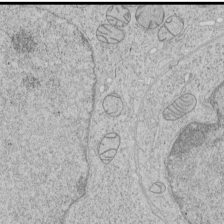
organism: Human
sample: Mitochondria in HCT116 cells